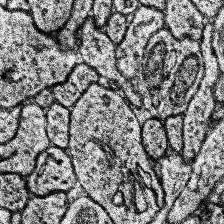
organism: Human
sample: Temporal Lobe